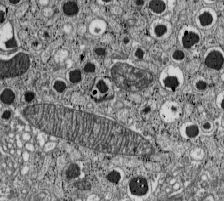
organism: C57BL Mouse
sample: Pancreatic islet